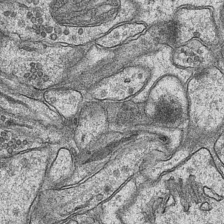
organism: Mouse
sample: CA1 Hippocampus